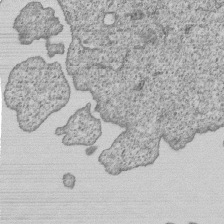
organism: Human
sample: MDA-MB-231 cells